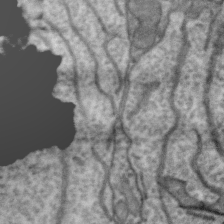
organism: Zebra finch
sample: Brain